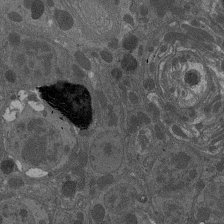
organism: Drosophila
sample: Antenna